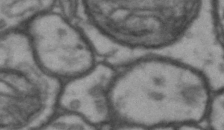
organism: Drosophila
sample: Brain